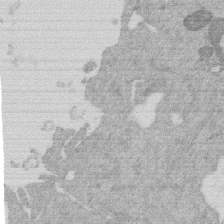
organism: Mouse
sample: Dividing mouse embryo 1 cell stage